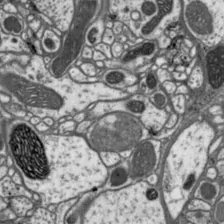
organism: Drosophila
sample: Protocerebral bridge